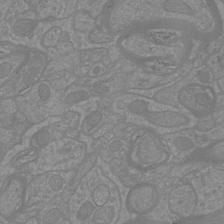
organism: Mouse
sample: Cortical neurons